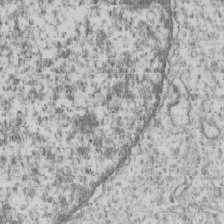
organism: Human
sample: MDA-MB-231 cells